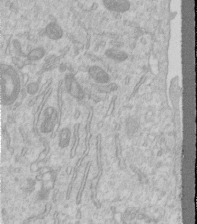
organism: Human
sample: Centriole in RPE cells